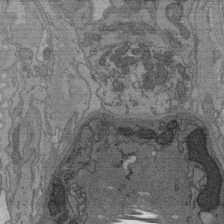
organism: C. elegans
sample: AFD neurons C. elegans